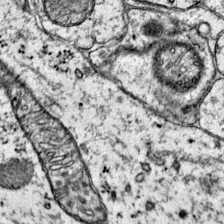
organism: Mouse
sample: Primary visual cortex